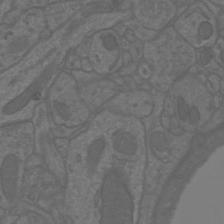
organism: Mouse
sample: Cortical neurons